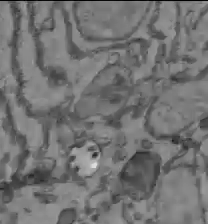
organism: C57BL Mouse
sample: Liver